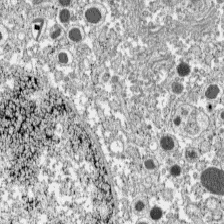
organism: C57BL Mouse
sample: Pancreatic islet